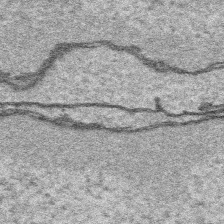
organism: Platynereis dumerilii